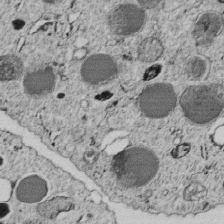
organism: C. elegans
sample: C. elegans embryo early stage